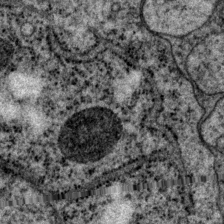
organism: P. pacificus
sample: Pharynx